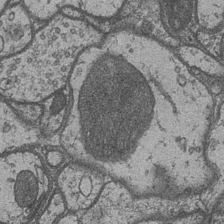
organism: Drosophila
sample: Optic medulla